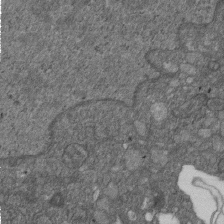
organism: Drosophila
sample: Nephrocyte